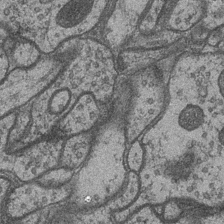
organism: Drosophila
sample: Optic medulla